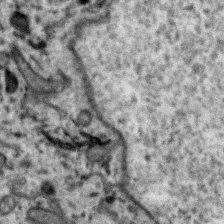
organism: Zebra finch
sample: Brain